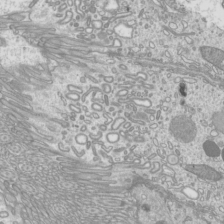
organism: Mouse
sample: Cilia; mouse epididymis